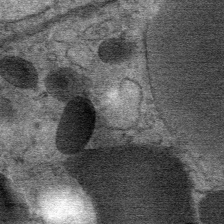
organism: Mouse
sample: Mouse Salivary gland